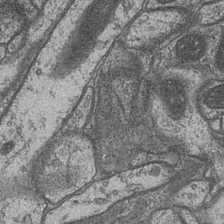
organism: Drosophila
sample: Optic medulla